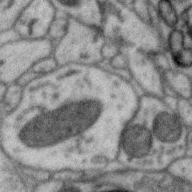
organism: Zebra finch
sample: Brain